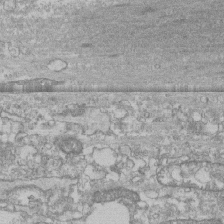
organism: Human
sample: CRL-1474